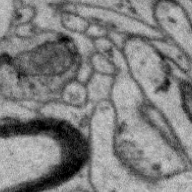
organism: Zebra finch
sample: Brain